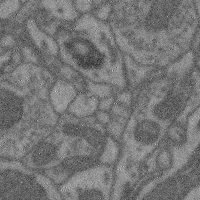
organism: Mouse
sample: Cerebral cortex